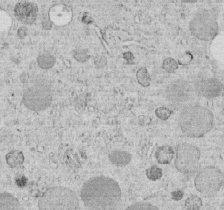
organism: C. elegans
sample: C. elegans embryo early stage